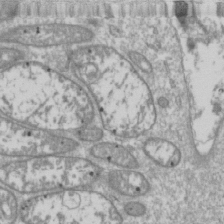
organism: Drosophila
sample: Cell division; meiosis; drosophila spermatocytes